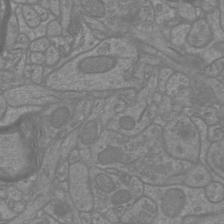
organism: Mouse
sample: Cortical neurons